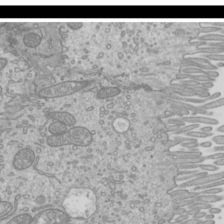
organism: Mouse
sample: Cilia; mouse epididymis